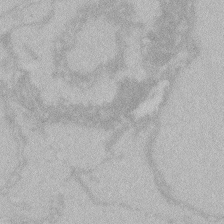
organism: Zebrafish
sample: Macrophage infected with Toxoplasma gondii